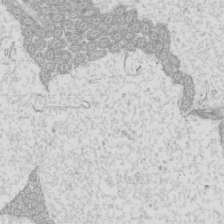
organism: Mouse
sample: Cilia; mouse epididymis